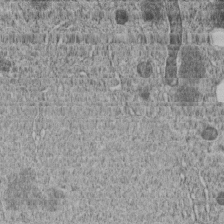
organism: C. elegans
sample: C. elegans embryo early stage